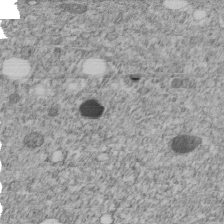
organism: C. elegans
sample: C. elegans embryo early stage